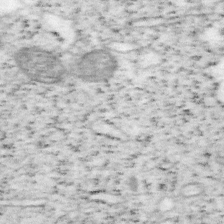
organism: Mouse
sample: OT-I killer T cells with ID8 ovarian cancer cells